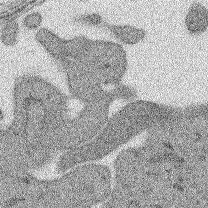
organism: Human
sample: HeLa cells